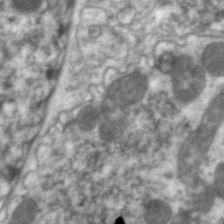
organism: C. elegans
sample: Pharynx